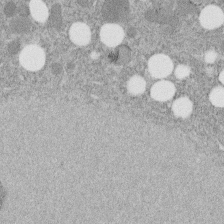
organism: C. elegans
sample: C. elegans embryo early stage